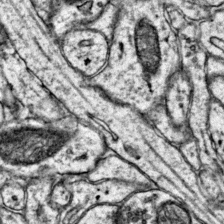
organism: Mouse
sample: Primary visual cortex